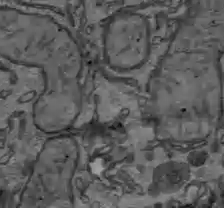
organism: C57BL Mouse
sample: Liver